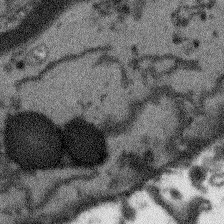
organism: Arabidopsis thaliana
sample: Root tip